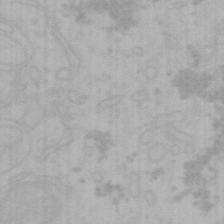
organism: Mouse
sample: Choroid plexus